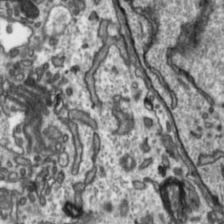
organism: Toxoplasma gondii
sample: Parasites in a vacuole inside a host cell